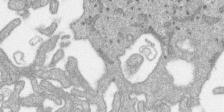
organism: Human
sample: Lung epithelial cells infected with SARS-CoV-2